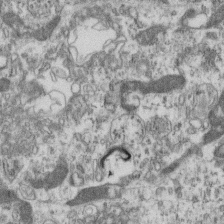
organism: Mouse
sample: Centriole in ependymal cells